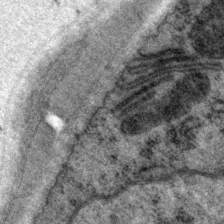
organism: P. pacificus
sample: Pharynx